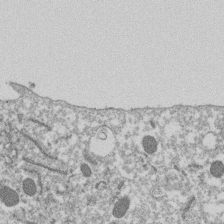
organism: Dictyostelium discoideum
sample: Dictyostelium multivesicular bodies